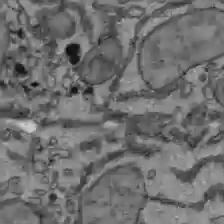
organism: C57BL Mouse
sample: Liver